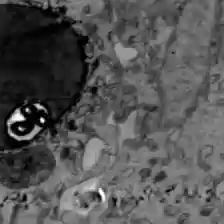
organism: C57BL Mouse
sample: Liver